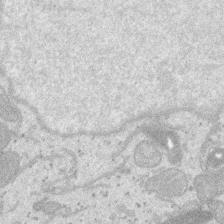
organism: Human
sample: Lung epithelial cells infected with SARS-CoV-2